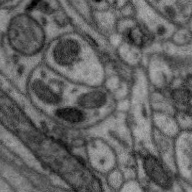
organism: Zebra finch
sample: Brain